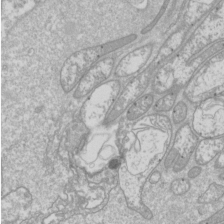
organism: Drosophila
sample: Cell division; meiosis; drosophila spermatocytes